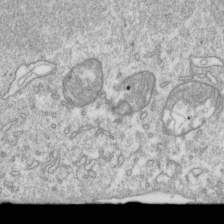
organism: Mouse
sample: Activated OT-1 CD8+ T cells